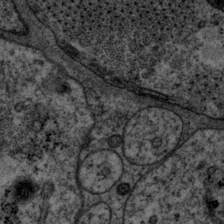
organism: P. pacificus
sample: Pharynx